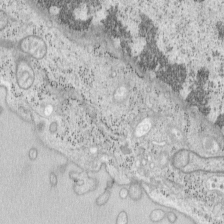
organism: Mouse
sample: OT-I killer T cells with ID8 ovarian cancer cells